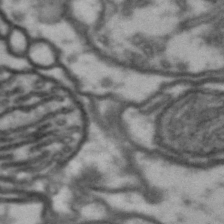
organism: Drosophila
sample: Brain